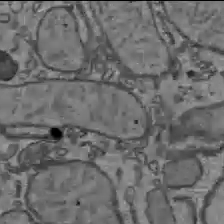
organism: C57BL Mouse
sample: Liver